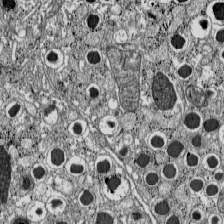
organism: C57BL Mouse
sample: Pancreatic islet